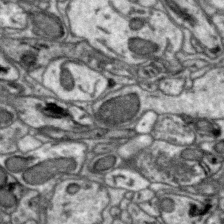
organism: Zebra finch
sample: Brain